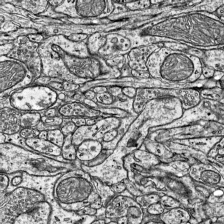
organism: Mouse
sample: Visual Cortex